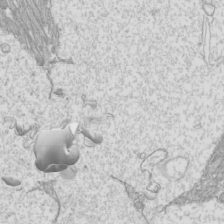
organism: Mouse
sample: Cilia; mouse epididymis